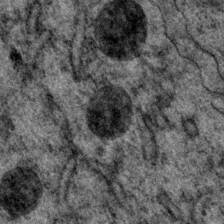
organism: P. pacificus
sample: Pharynx